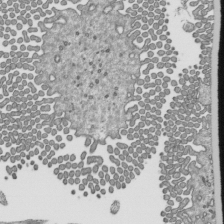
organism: Mouse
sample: Mouse epididymis efferent ductule cilia